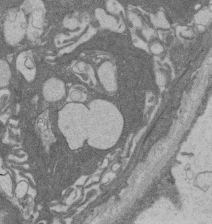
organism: Rat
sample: Salivary granule